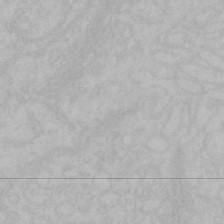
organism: Mouse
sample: Choroid plexus